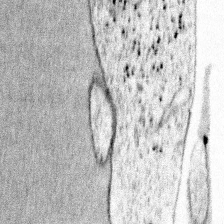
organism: Human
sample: HeLa cells